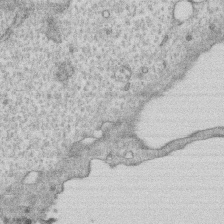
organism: Human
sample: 1205lu cells